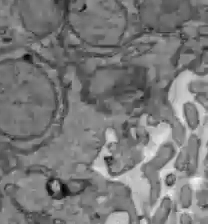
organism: C57BL Mouse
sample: Liver